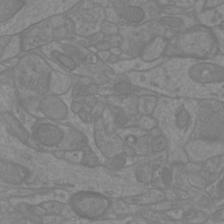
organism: Mouse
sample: Cortical neurons